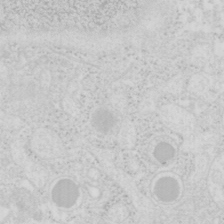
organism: Mouse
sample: Pancreas